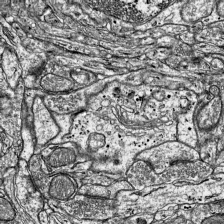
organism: Mouse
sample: Visual Cortex